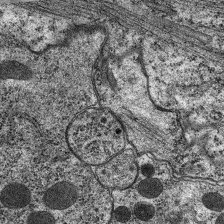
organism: C. elegans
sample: Pharynx